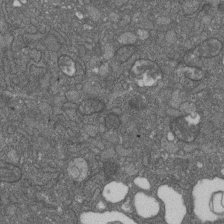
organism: Drosophila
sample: Nephrocyte